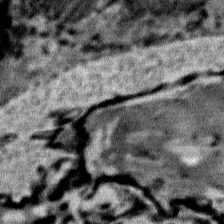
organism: Mouse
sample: Mouse Salivary gland